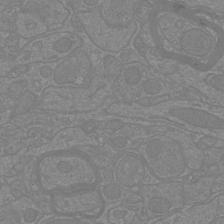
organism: Mouse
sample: Cortical neurons